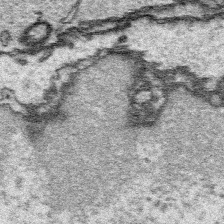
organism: Platynereis dumerilii